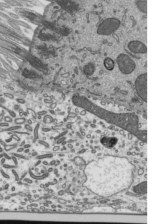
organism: Mouse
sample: Mouse epididymis efferent ductule cilia